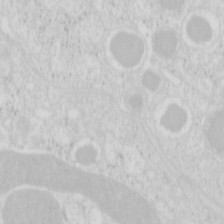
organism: Mouse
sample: Pancreas